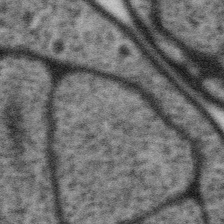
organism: Gemmata obscuriglobus